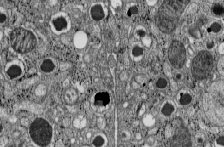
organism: C57BL Mouse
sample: Pancreatic islet